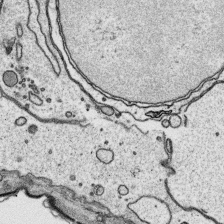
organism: Platynereis dumerilii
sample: Parapodia